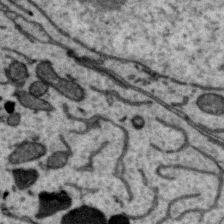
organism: Zebra finch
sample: Brain